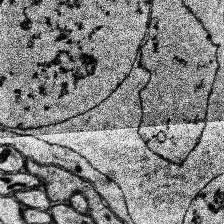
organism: Human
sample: Temporal Lobe